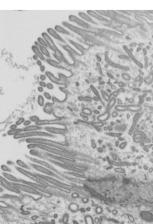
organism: Mouse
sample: Mouse epididymis efferent ductule cilia